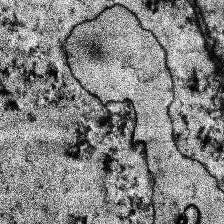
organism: Human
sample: Temporal Lobe